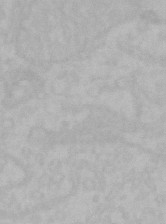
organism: Mouse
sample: Choroid plexus